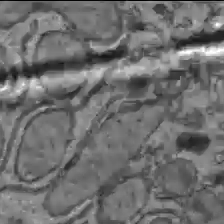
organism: C57BL Mouse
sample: Liver